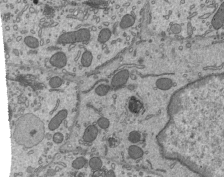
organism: Mouse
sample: Mouse epididymis efferent ductule cilia